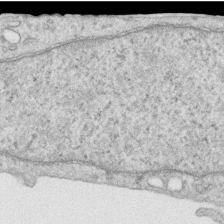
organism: Human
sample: Centriole in RPE cells